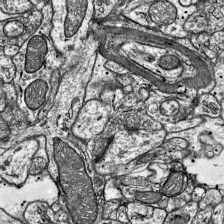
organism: Mouse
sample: Visual Cortex